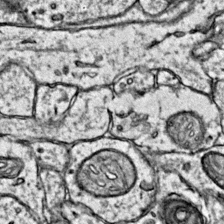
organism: Mouse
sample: Primary visual cortex